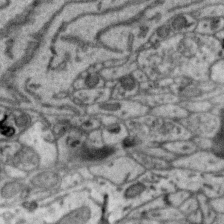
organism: Zebra finch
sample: Brain